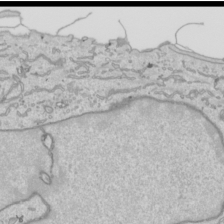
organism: Human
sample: Mitochondria in HCT116 cells